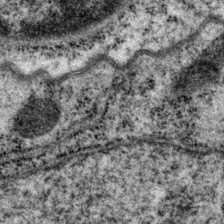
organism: P. pacificus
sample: Pharynx